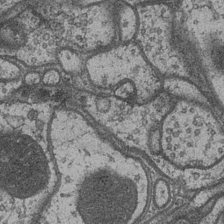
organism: Drosophila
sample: Optic medulla